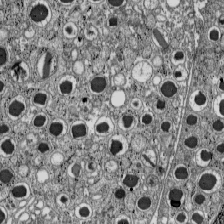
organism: C57BL Mouse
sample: Pancreatic islet